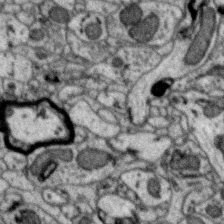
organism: Zebra finch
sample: Brain